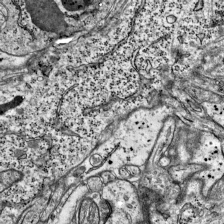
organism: Mouse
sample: Visual Cortex